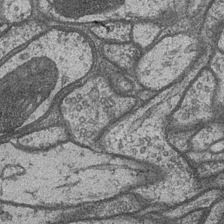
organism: Drosophila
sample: Optic medulla